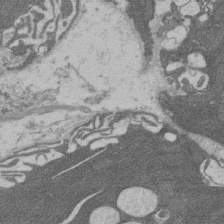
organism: Rat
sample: Salivary granule